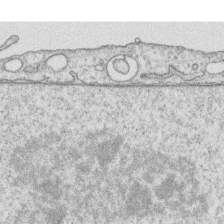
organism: Human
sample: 1205lu cells